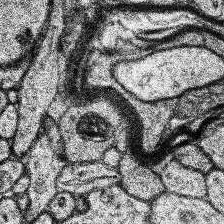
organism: Human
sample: Temporal Lobe